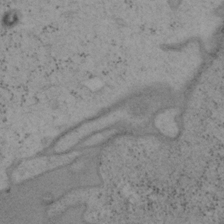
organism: Mouse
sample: OT-I killer T cells with ID8 ovarian cancer cells